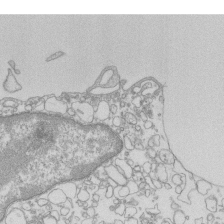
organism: Mouse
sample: Macrophages